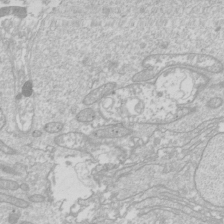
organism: Drosophila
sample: Cell division; meiosis; drosophila spermatocytes